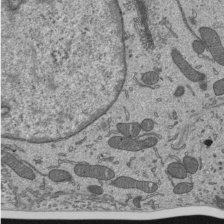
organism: Mouse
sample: Mouse epididymis efferent ductule cilia